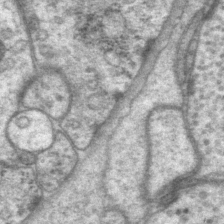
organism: P. pacificus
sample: Pharynx